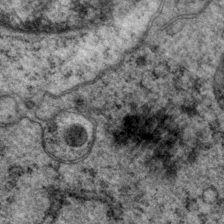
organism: P. pacificus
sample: Pharynx